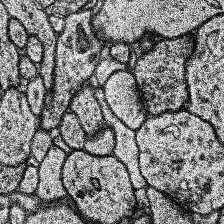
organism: Human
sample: Temporal Lobe